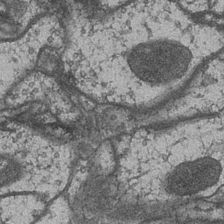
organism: Drosophila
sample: Optic medulla